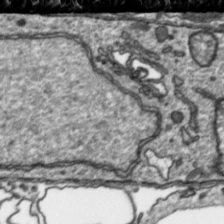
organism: Toxoplasma gondii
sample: Parasites in a vacuole inside a host cell